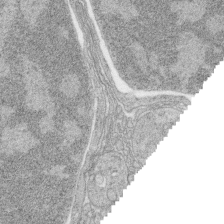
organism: Zebrafish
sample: synaptic ribbons in rod cells and cone cells